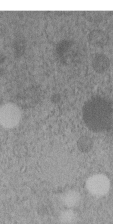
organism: C. elegans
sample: C. elegans embryo early stage